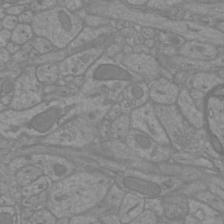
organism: Mouse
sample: Cortical neurons